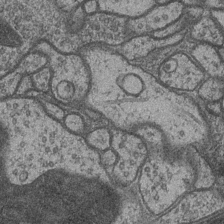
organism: Drosophila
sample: Optic medulla